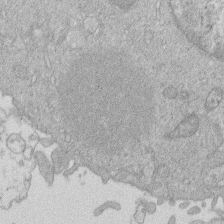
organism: Human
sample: Macrophage cells